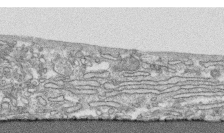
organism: Human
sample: CRL-1474